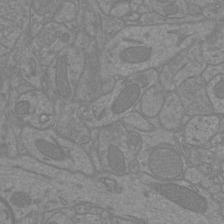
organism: Mouse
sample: Cortical neurons